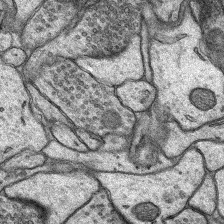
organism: Rat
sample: Hippocampus